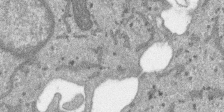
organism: Human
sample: Lung epithelial cells infected with SARS-CoV-2